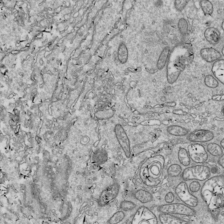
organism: Drosophila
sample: Cell division; meiosis; drosophila spermatocytes